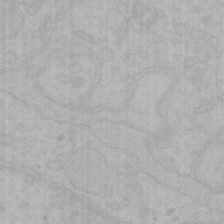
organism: Mouse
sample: Choroid plexus